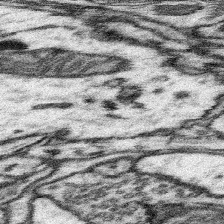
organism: Mouse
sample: Somatosensory cortex neuropil